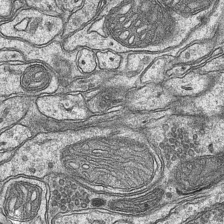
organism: Mouse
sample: CA1 Hippocampus